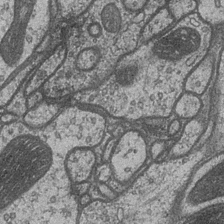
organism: Drosophila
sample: Optic medulla